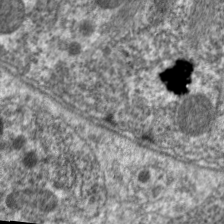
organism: C. elegans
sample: Pharynx